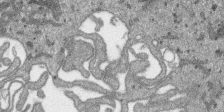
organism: Human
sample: Lung epithelial cells infected with SARS-CoV-2